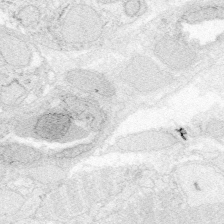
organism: Zebrafish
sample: Whole-Brain